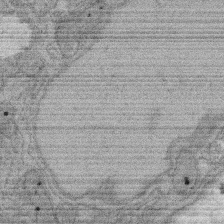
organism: Rat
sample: Salivary granule